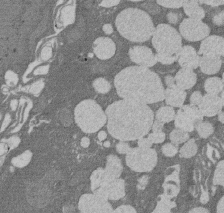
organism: Rat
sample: Salivary granule